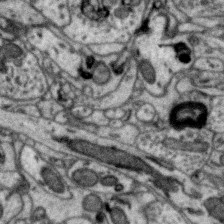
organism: Zebra finch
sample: Brain